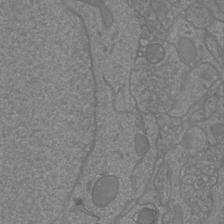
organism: Mouse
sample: Cortical neurons